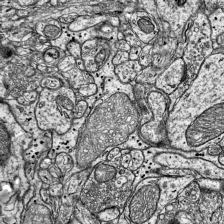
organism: Mouse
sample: Visual Cortex